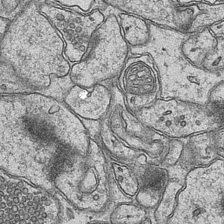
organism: Mouse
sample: CA1 Hippocampus